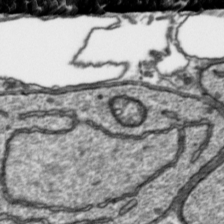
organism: Toxoplasma gondii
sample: Parasites in a vacuole inside a host cell